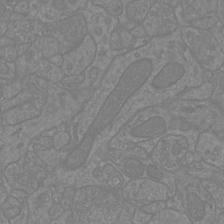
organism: Mouse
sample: Cortical neurons